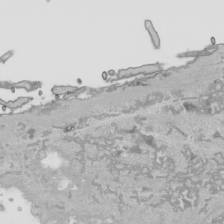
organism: Human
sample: Mitochondria in HCT116 cells